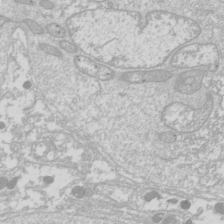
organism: Drosophila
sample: Cell division; meiosis; drosophila spermatocytes